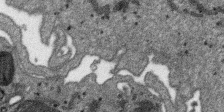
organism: Human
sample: Lung epithelial cells infected with SARS-CoV-2